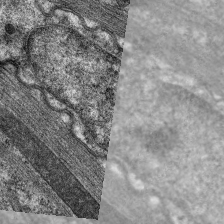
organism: C. elegans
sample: Pharynx